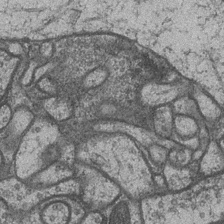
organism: Drosophila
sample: Optic medulla